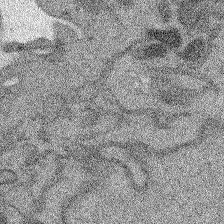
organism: Human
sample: HeLa cells